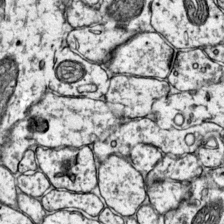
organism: Mouse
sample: Primary visual cortex